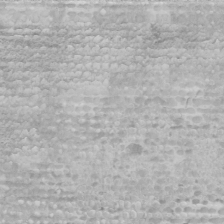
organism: Human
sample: Mitochondria in U2OS cells